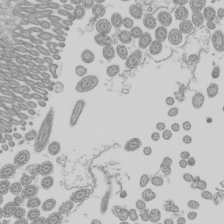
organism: Mouse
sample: Cilia; mouse epididymis